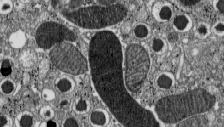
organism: C57BL Mouse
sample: Pancreatic islet